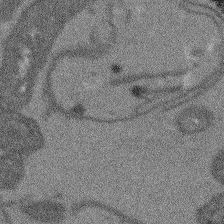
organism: Arabidopsis thaliana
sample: Root tip